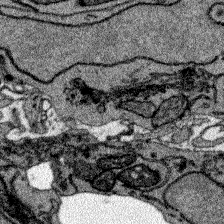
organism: Zebrafish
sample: Larval olfactory bulb